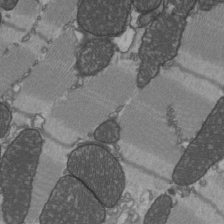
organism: C57BL Mouse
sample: Heart